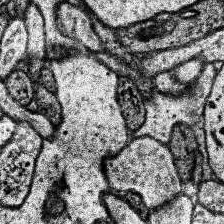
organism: Human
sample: Temporal Lobe